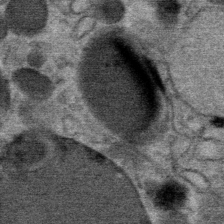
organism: Mouse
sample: Mouse Salivary gland